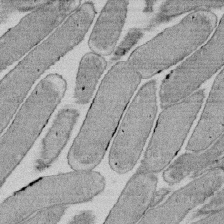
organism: E. coli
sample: Bacterial nucleoid